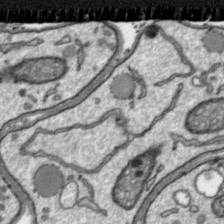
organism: Toxoplasma gondii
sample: Parasites in a vacuole inside a host cell